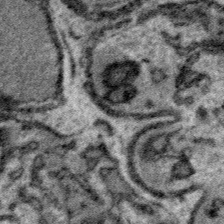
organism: Plasmodium falciparum